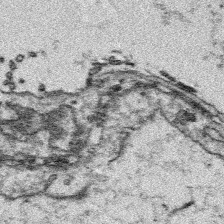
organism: Platynereis dumerilii